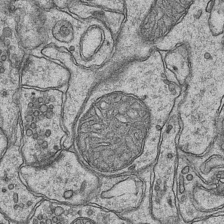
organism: Mouse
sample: CA1 Hippocampus